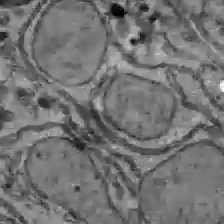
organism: C57BL Mouse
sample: Liver